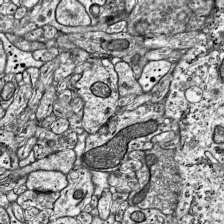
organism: Mouse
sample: Visual Cortex